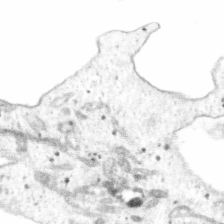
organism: Human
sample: HeLa cells